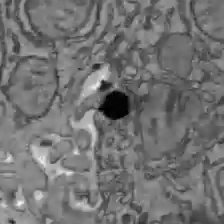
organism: C57BL Mouse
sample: Liver